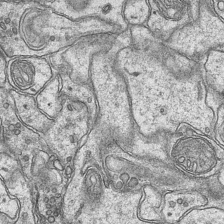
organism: Mouse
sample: CA1 Hippocampus